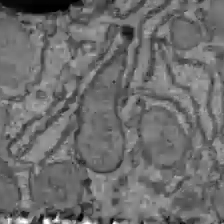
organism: C57BL Mouse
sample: Liver